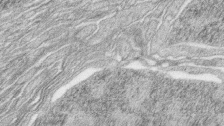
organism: Zebrafish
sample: synaptic ribbons in rod cells and cone cells